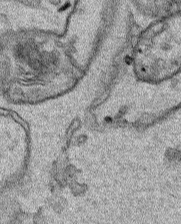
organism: Human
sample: Mitochondria in HCT116 cells